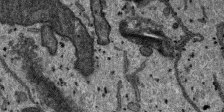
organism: Human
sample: Lung epithelial cells, uninfected (mock) control